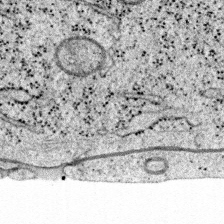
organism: Human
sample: HeLa cells